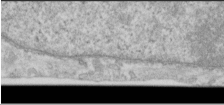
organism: Human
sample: Cilia; basal body in RPE cells